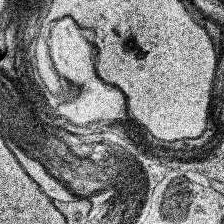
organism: Human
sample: Temporal Lobe